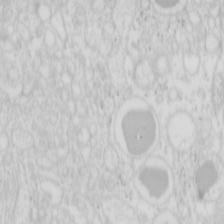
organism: Mouse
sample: Pancreas